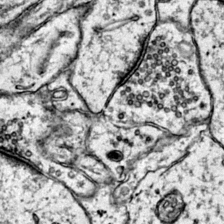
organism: Mouse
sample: Primary visual cortex